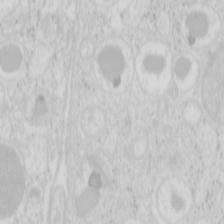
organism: Mouse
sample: Pancreas